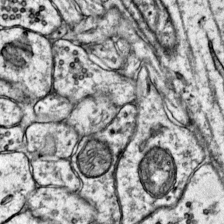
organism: Mouse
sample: Primary visual cortex